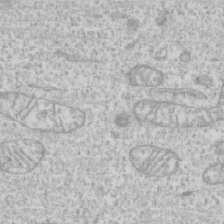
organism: Human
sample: CRL-1474